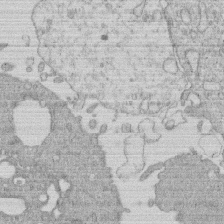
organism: Human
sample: Macrophage cells